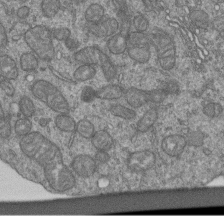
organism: Human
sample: Retinal organoid Rod and Cone cells